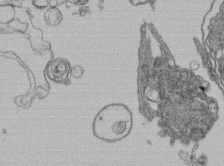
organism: Human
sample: Retinal organoid Rod and Cone cells